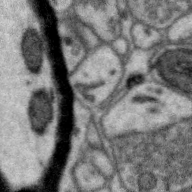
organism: Zebra finch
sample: Brain